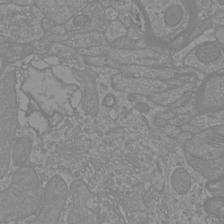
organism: Mouse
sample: Cortical neurons